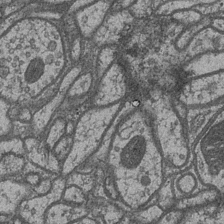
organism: Drosophila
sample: Optic medulla